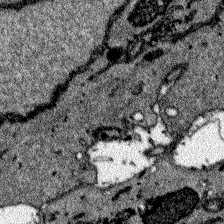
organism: Zebrafish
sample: Larval olfactory bulb